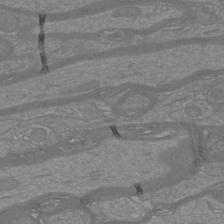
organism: Mouse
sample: Cortical neurons